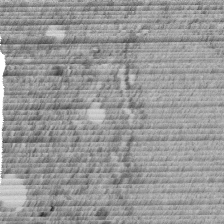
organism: C. elegans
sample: C. elegans embryo early stage